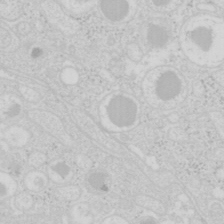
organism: Mouse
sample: Pancreas